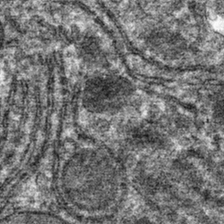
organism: Mouse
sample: Mouse hepatocytes